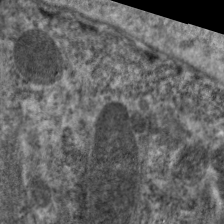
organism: C. elegans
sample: Pharynx